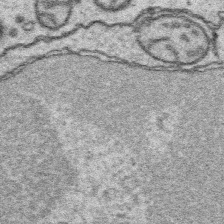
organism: Platynereis dumerilii